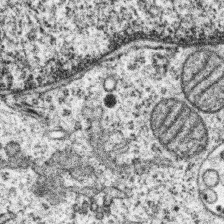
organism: Human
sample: HeLa cells